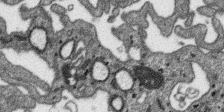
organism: Human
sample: Lung epithelial cells infected with SARS-CoV-2